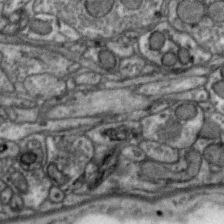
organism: Zebra finch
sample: Brain